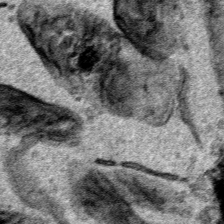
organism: Human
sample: Mitochondria in HCT116 cells